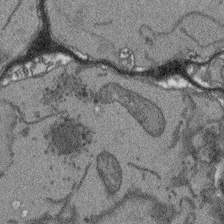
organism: Arabidopsis thaliana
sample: Root tip